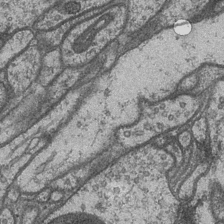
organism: Drosophila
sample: Optic medulla